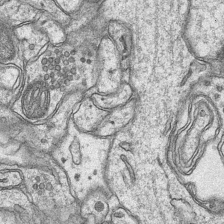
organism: Mouse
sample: CA1 Hippocampus